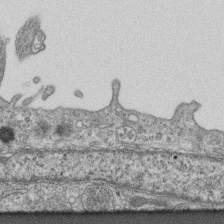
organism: Mouse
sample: Centriole in ependymal cells